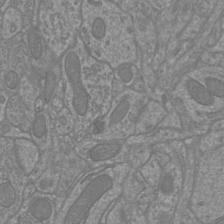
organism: Mouse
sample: Cortical neurons